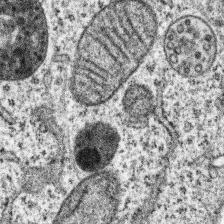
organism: Human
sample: HeLa cells